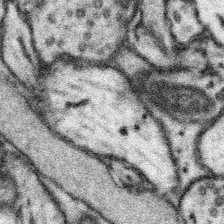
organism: Mouse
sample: Somatosensory cortex neuropil